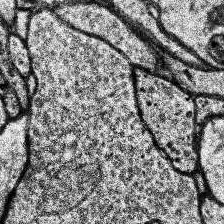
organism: Human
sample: Temporal Lobe